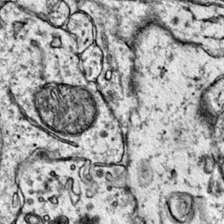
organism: Mouse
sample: Primary visual cortex